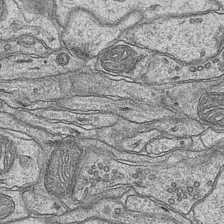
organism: Mouse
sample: CA1 Hippocampus